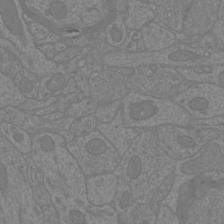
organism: Mouse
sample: Cortical neurons